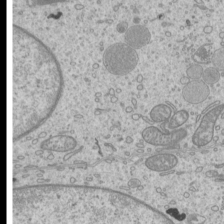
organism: Mouse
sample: Cilia; mouse epididymis